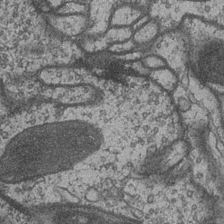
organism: Drosophila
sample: Optic medulla